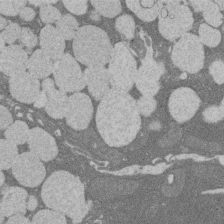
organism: Rat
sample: Salivary granule